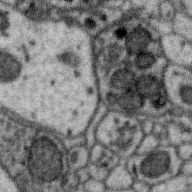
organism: Zebra finch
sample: Brain